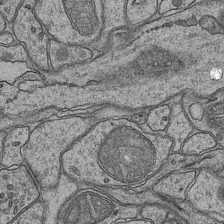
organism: Mouse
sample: CA1 Hippocampus